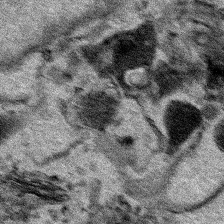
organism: Human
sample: Mitochondria in HCT116 cells